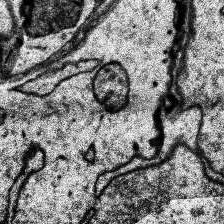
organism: Human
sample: Temporal Lobe